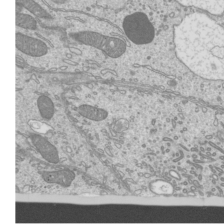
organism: Mouse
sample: Cilia; mouse epididymis